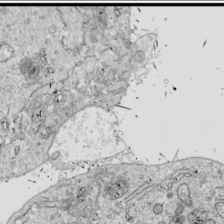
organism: Drosophila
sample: Cell division; meiosis; drosophila spermatocytes